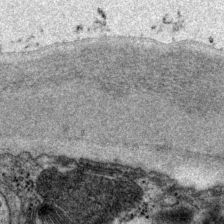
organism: P. pacificus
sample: Pharynx